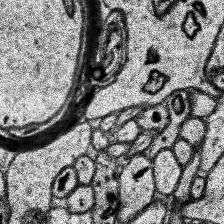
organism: Human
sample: Temporal Lobe